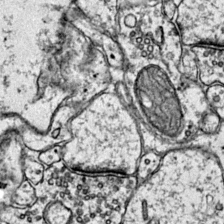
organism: Mouse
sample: Primary visual cortex